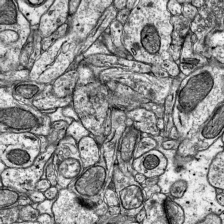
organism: Mouse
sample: Visual Cortex